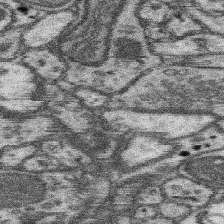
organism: Mouse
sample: Somatosensory cortex neuropil